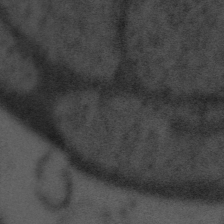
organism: Tuwongella immobilis